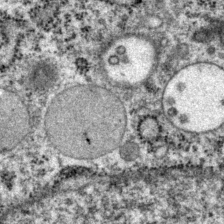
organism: P. pacificus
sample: Pharynx